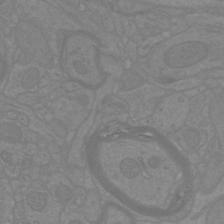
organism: Mouse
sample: Cortical neurons